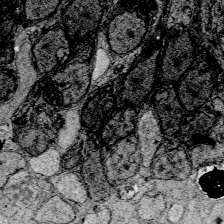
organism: Zebrafish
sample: Whole-Brain